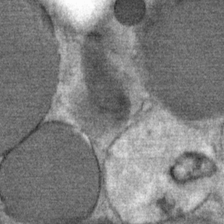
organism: Mouse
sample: Mouse Salivary gland